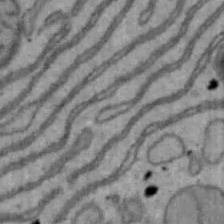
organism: Mouse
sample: Liver